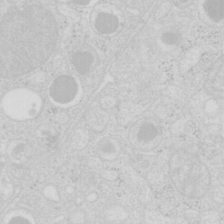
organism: Mouse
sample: Pancreas